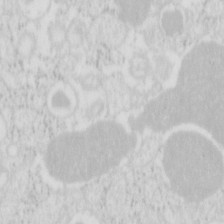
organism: Mouse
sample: Pancreas